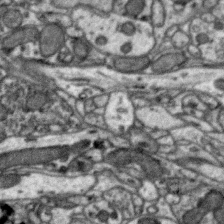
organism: Zebra finch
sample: Brain